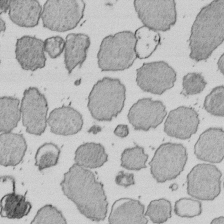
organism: E. coli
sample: Bacterial nucleoid